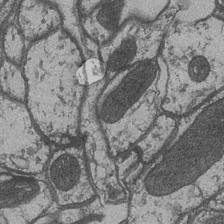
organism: Drosophila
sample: Optic medulla